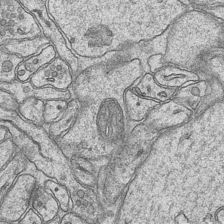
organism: Mouse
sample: CA1 Hippocampus